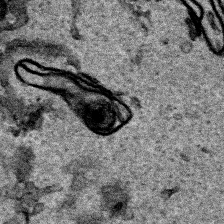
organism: Human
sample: Mitochondria in HCT116 cells